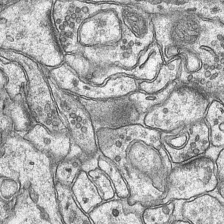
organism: Mouse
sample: CA1 Hippocampus